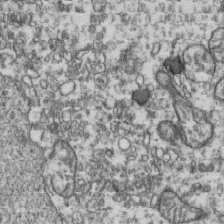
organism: Human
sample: Activated Jurkat CD4+ T cells